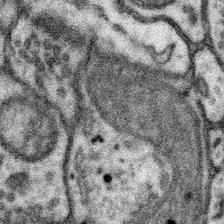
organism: Mouse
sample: Somatosensory cortex neuropil